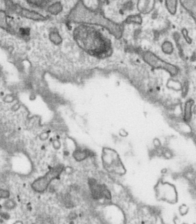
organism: Toxoplasma gondii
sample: Parasites in a vacuole inside a host cell